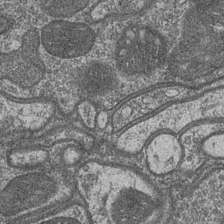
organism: Drosophila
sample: Optic medulla